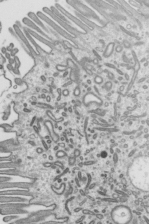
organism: Mouse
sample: Mouse epididymis efferent ductule cilia